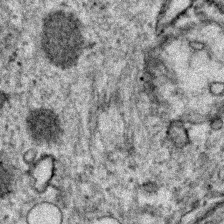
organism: Zebrafish